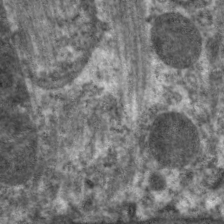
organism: C. elegans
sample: Pharynx